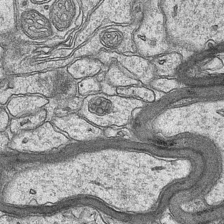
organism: Mouse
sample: CA1 Hippocampus